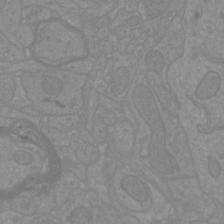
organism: Mouse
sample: Cortical neurons